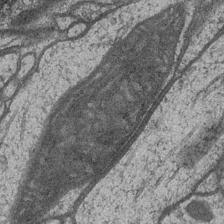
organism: Drosophila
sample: Optic medulla